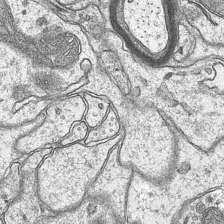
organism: Mouse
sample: CA1 Hippocampus